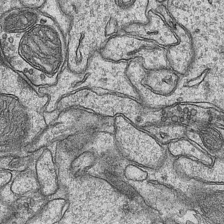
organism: Mouse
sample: CA1 Hippocampus